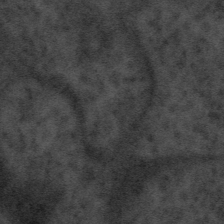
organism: Tuwongella immobilis